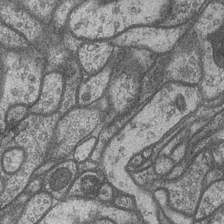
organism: Drosophila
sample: Optic medulla